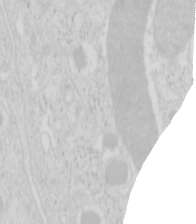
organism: Mouse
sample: Pancreas